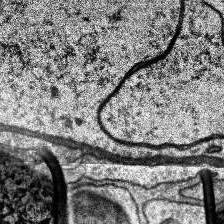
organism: Human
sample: Temporal Lobe